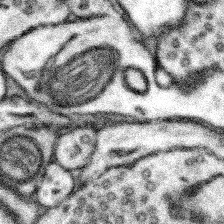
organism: Mouse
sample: Somatosensory cortex neuropil